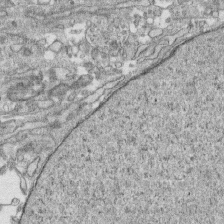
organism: Human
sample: CRL-1474